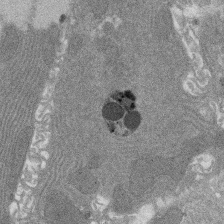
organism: Rat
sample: Salivary granule